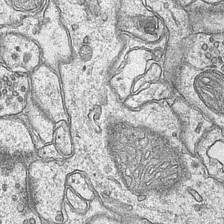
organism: Mouse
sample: CA1 Hippocampus